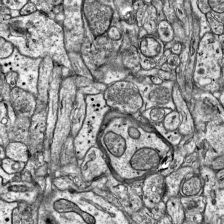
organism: Mouse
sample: Visual Cortex